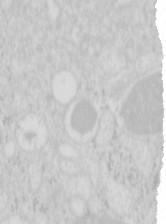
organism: Mouse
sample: Pancreas